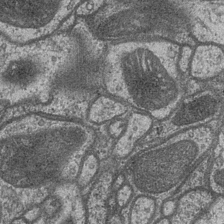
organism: Drosophila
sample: Optic medulla